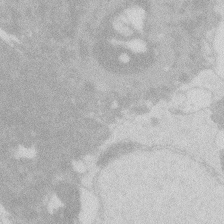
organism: Zebrafish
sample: Macrophage